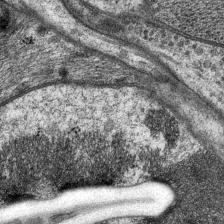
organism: P. pacificus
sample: Pharynx